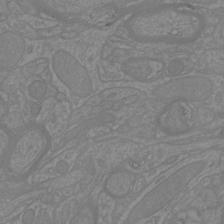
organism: Mouse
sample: Cortical neurons